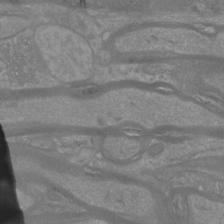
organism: Mouse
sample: Cortical neurons